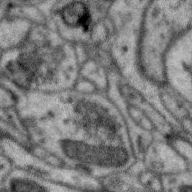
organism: Zebra finch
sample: Brain